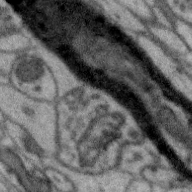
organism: Zebra finch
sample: Brain